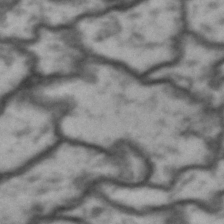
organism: Drosophila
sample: Brain